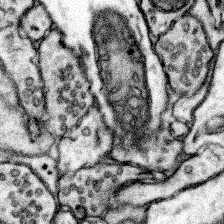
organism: Mouse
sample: Somatosensory cortex neuropil